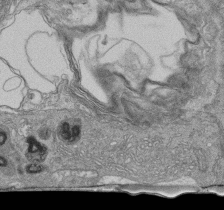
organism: Human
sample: Retinal organoid Rod and Cone cells